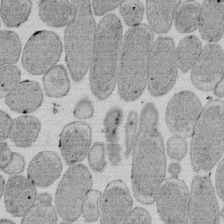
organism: E. coli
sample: Bacterial nucleoid